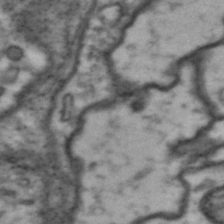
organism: Drosophila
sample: Brain